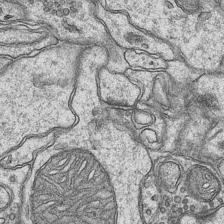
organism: Mouse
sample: CA1 Hippocampus